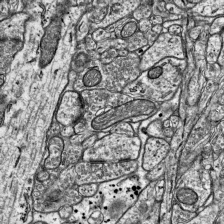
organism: Mouse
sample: Visual Cortex